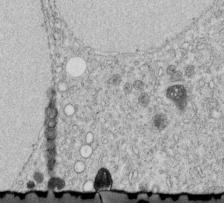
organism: C. elegans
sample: C. elegans embryo early stage